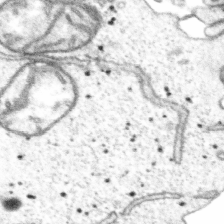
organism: Human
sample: HeLa cells